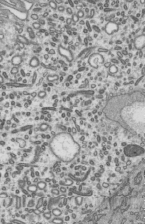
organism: Mouse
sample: Mouse epididymis efferent ductule cilia